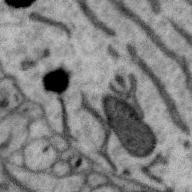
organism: Zebra finch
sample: Brain